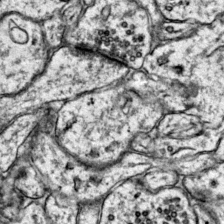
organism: Mouse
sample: Primary visual cortex